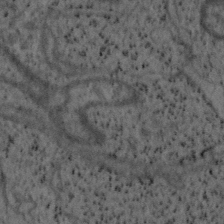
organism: Human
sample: HeLa cells